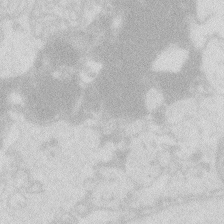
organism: Zebrafish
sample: Macrophage